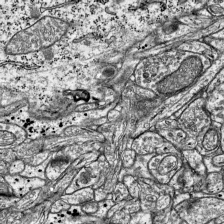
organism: Mouse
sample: Visual Cortex